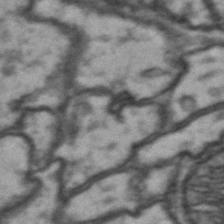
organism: Drosophila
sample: Brain